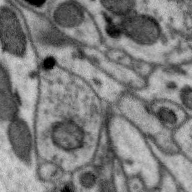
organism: Zebra finch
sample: Brain